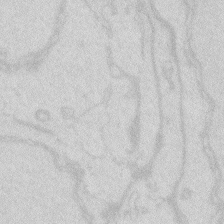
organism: Zebrafish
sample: Macrophage